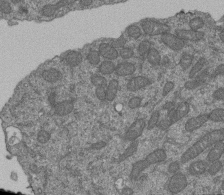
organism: Human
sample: Retinal organoid Rod and Cone cells